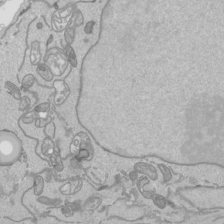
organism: Human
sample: Mitochondria in HCT116 cells